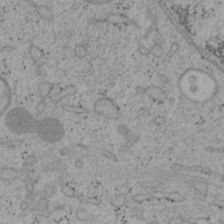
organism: Human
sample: HeLa cells